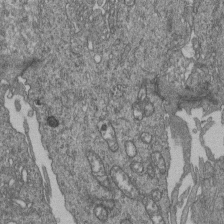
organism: Human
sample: Retinal organoid Rod and Cone cells